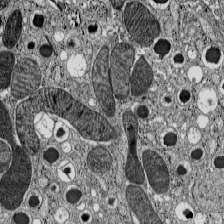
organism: C57BL Mouse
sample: Pancreatic islet